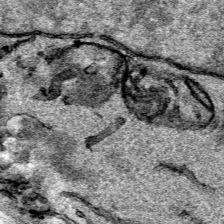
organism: Human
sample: Mitochondria in HCT116 cells